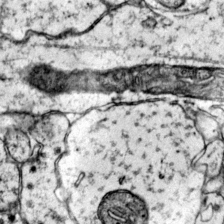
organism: Mouse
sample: Primary visual cortex